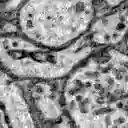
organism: Zebrafish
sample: Brain